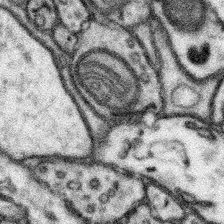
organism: Mouse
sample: Somatosensory cortex neuropil